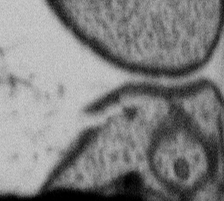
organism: Gemmata obscuriglobus